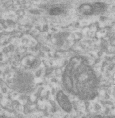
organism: Human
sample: Centriole in RPE cells